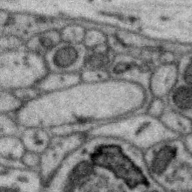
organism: Zebra finch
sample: Brain